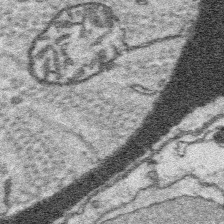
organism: Platynereis dumerilii